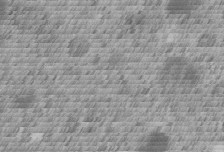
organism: C. elegans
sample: C. elegans embryo early stage